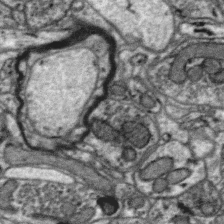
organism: Zebra finch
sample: Brain